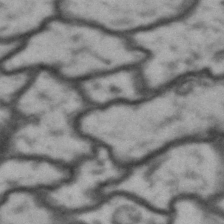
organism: Drosophila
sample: Brain